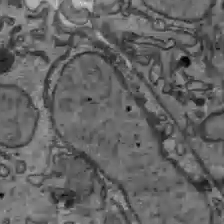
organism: C57BL Mouse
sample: Liver